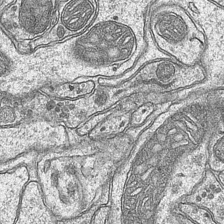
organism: Mouse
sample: CA1 Hippocampus